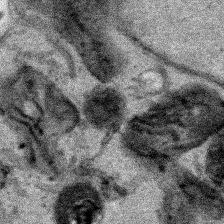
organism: Human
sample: Mitochondria in HCT116 cells